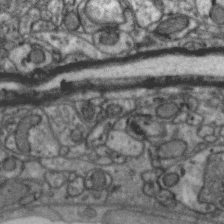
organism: Zebra finch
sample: Brain